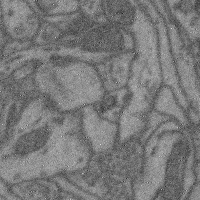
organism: Mouse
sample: Cerebral cortex